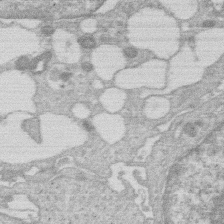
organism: Human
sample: Macrophage cells